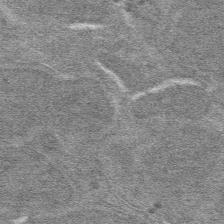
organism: Mouse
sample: Mouse hepatocytes